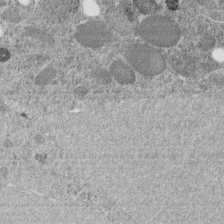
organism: C. elegans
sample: C. elegans embryo early stage